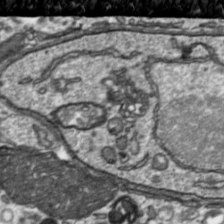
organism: Toxoplasma gondii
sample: Parasites in a vacuole inside a host cell